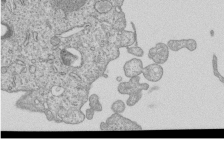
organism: Human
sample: MDA-MB-231 cells